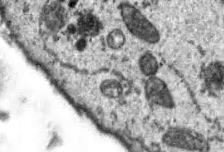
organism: Human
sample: HeLa cells